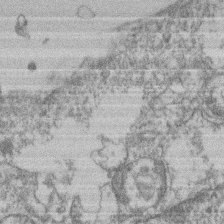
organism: Mouse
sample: T cell stromal cell synapse